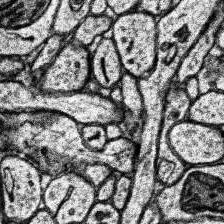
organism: Human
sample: Temporal Lobe